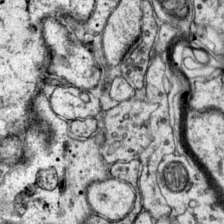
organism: Mouse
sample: Primary visual cortex